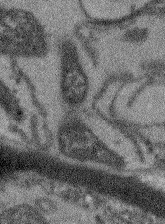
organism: Arabidopsis thaliana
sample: Root tip